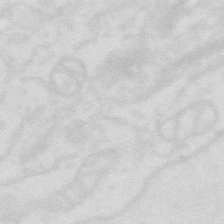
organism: Human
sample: HeLa cells